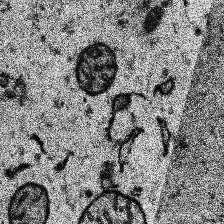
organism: Human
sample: Temporal Lobe